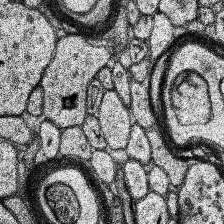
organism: Human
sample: Temporal Lobe